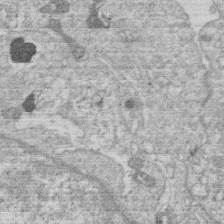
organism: Human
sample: Macrophage cells